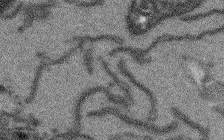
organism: Arabidopsis thaliana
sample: Root tip